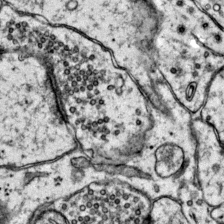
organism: Mouse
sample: Primary visual cortex